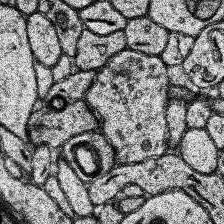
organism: Human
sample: Temporal Lobe